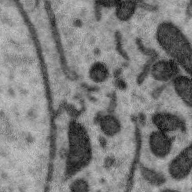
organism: Zebra finch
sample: Brain